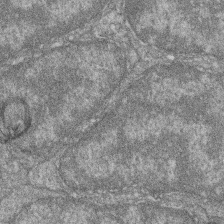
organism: Zebrafish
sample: Cilia; retinal pigment epithelium